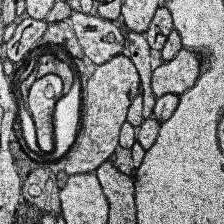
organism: Human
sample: Temporal Lobe